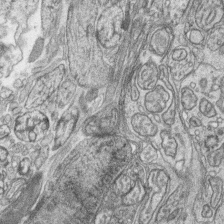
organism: Zebrafish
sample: synaptic ribbons in rod cells and cone cells